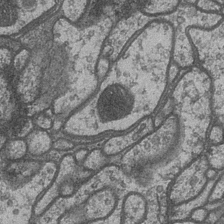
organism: Drosophila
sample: Optic medulla